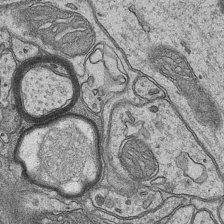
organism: Mouse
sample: CA1 Hippocampus